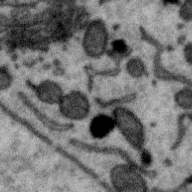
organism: Zebra finch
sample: Brain